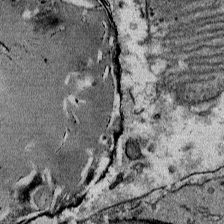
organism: Mouse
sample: Mouse Salivary gland